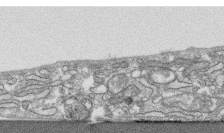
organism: Human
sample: CRL-1474